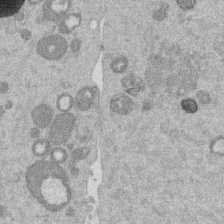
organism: Mouse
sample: Dividing mouse embryo 1 cell stage